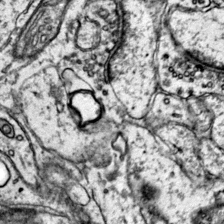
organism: Mouse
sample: Primary visual cortex